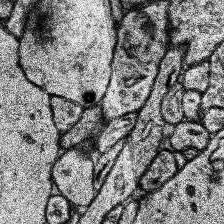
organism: Human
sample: Temporal Lobe